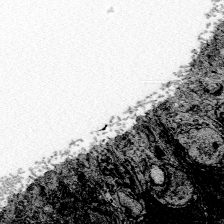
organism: Zebrafish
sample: Whole-Brain